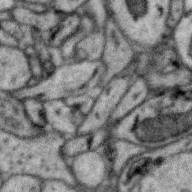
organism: Zebra finch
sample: Brain